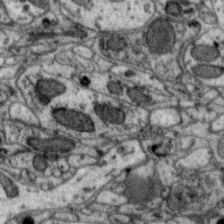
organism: Zebra finch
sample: Brain